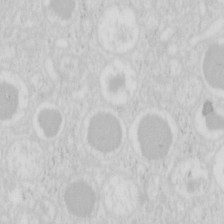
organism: Mouse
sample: Pancreas